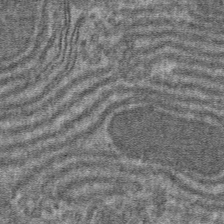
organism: Mouse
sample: Mouse hepatocytes